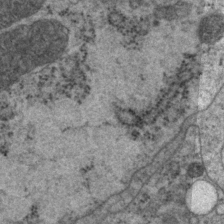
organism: P. pacificus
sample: Pharynx